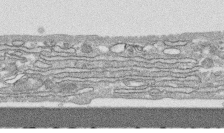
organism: Human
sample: CRL-1474